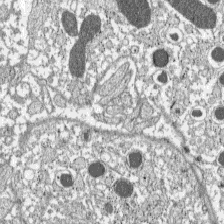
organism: C57BL Mouse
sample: Pancreatic islet